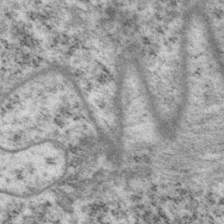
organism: P. pacificus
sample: Pharynx